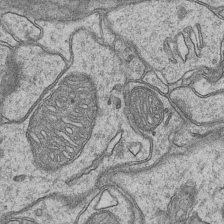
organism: Mouse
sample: CA1 Hippocampus